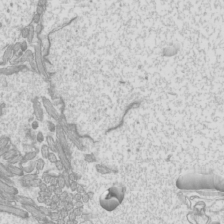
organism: Mouse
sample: Cilia; mouse epididymis